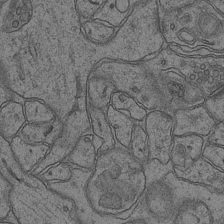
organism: Mouse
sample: CA1 Hippocampus